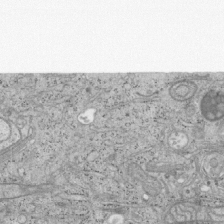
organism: Human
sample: HeLa cells